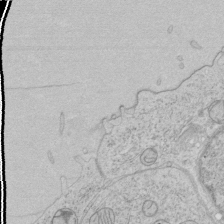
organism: Human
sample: Mitochondria in HCT116 cells